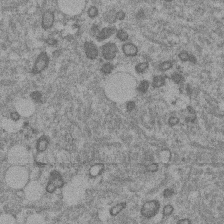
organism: Mouse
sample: Dividing mouse embryo 1 cell stage